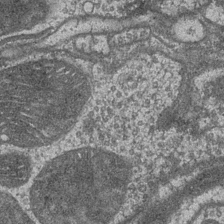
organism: Drosophila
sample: Optic medulla